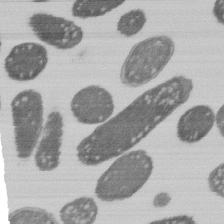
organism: E. coli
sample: Bacterial nucleoid